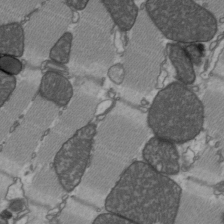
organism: C57BL Mouse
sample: Heart